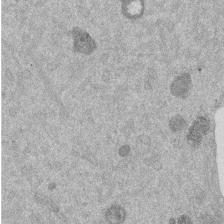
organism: Mouse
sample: Dividing mouse embryo 1 cell stage